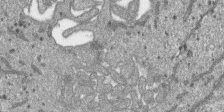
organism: Human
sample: Lung epithelial cells infected with SARS-CoV-2